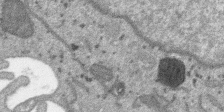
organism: Human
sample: Lung epithelial cells infected with SARS-CoV-2